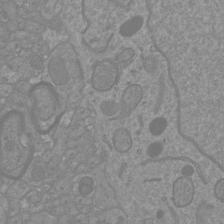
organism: Mouse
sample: Cortical neurons